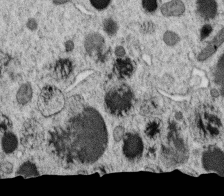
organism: C. elegans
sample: C. elegans oocyte; sperm cells